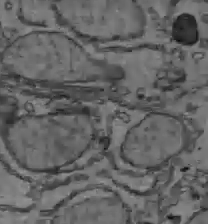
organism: C57BL Mouse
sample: Liver